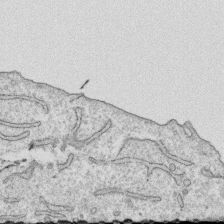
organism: Human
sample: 1205lu cells